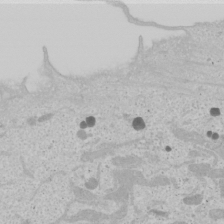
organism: Human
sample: Mitochondria in U2OS cells